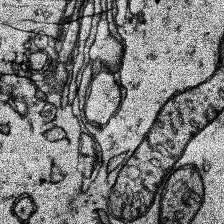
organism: Human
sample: Temporal Lobe